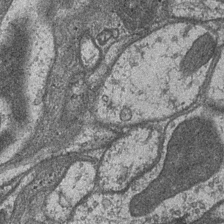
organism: Drosophila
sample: Optic medulla